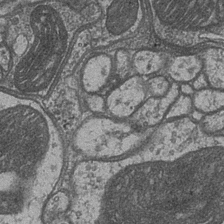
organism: Drosophila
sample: Optic medulla